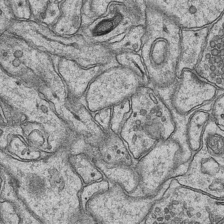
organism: Mouse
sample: CA1 Hippocampus